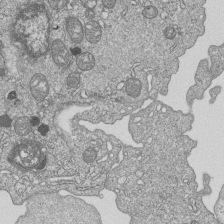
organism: Human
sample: MDA-MB-231 cells